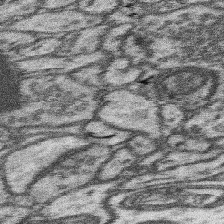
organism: Mouse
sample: Somatosensory cortex neuropil